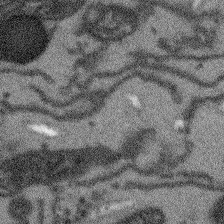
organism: Arabidopsis thaliana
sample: Root tip